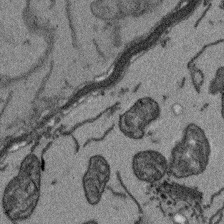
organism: Arabidopsis thaliana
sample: Root tip